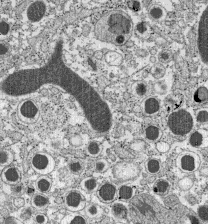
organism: C57BL Mouse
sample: Pancreatic islet